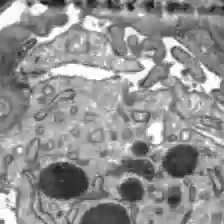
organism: C57BL Mouse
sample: Liver